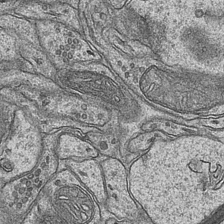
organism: Mouse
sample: CA1 Hippocampus